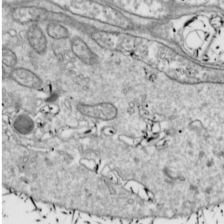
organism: Drosophila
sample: Cell division; meiosis; drosophila spermatocytes